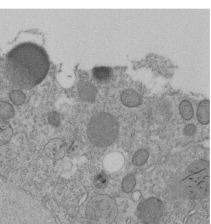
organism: C. elegans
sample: C. elegans embryo early stage